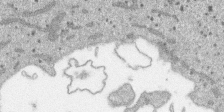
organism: Human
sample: Lung epithelial cells infected with SARS-CoV-2